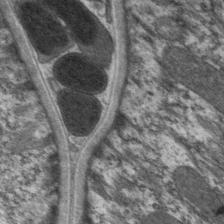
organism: C. elegans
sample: Pharynx